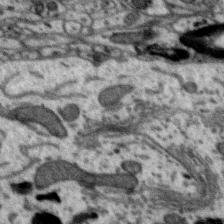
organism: Zebra finch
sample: Brain